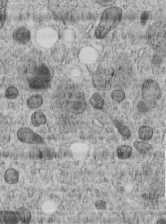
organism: C. elegans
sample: C. elegans embryo early stage